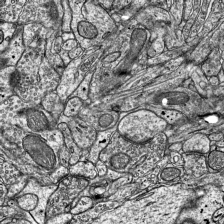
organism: Mouse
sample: Visual Cortex